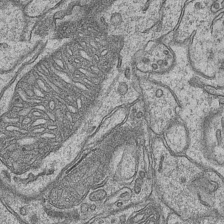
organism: Mouse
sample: CA1 Hippocampus